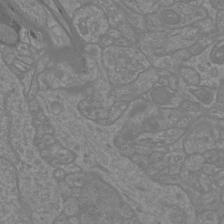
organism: Mouse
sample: Cortical neurons